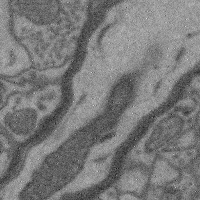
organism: Mouse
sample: Cerebral cortex